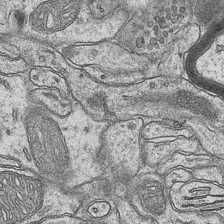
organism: Mouse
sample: CA1 Hippocampus